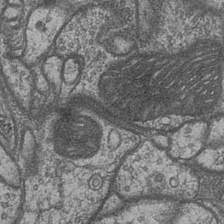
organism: Drosophila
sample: Optic medulla